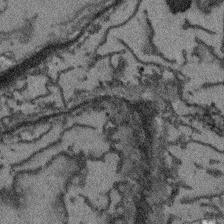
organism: Arabidopsis thaliana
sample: Root tip